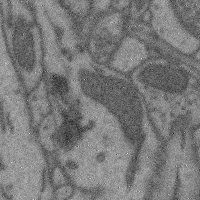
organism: Mouse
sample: Cerebral cortex